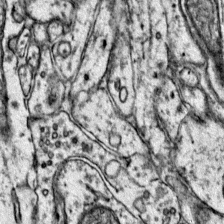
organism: Mouse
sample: Primary visual cortex